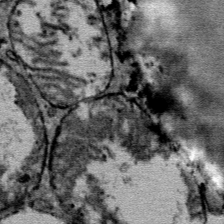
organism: Mouse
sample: Mouse Salivary gland